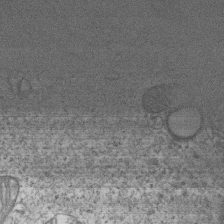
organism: Human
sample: MDA-MB-231 cells